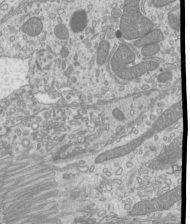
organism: Mouse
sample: Cilia; mouse epididymis